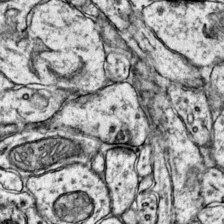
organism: Mouse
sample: Primary visual cortex